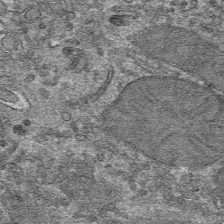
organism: Mouse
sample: Mouse hepatocytes